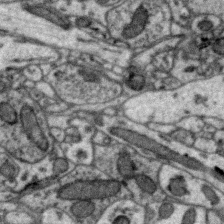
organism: Zebra finch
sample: Brain